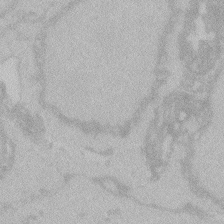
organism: Zebrafish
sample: Macrophage infected with Toxoplasma gondii